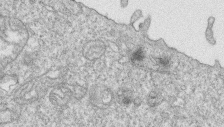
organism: Human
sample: HeLa cell HIV synapse